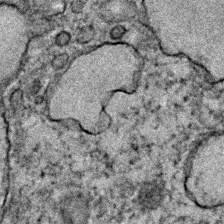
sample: Trachea